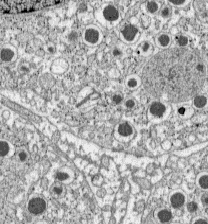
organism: C57BL Mouse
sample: Pancreatic islet